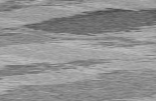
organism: C57BL Mouse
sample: Heart